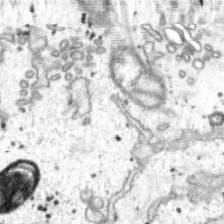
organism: Human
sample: HeLa cells